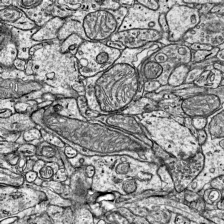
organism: Mouse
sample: Visual Cortex